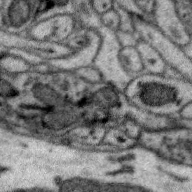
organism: Zebra finch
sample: Brain